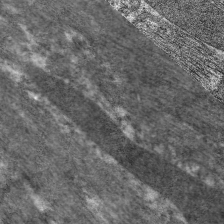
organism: C. elegans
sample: Pharynx